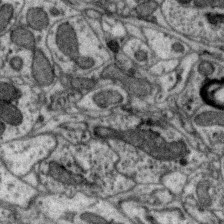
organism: Zebra finch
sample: Brain